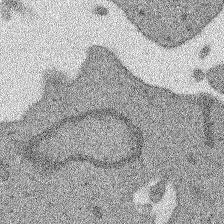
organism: Human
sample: HeLa cells